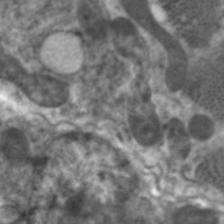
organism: C. elegans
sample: Pharynx